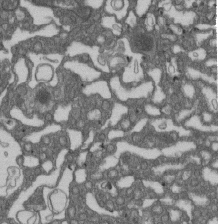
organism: Drosophila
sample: Nephrocyte